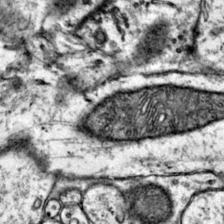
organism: Mouse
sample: Primary visual cortex